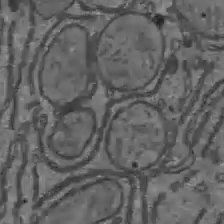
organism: C57BL Mouse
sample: Liver